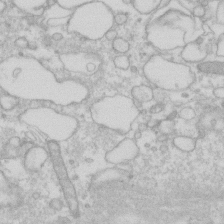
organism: Human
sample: Fibroblast cells